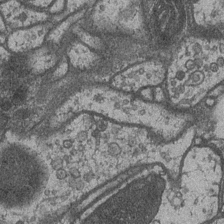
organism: Drosophila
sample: Optic medulla